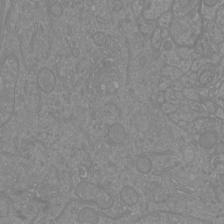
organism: Mouse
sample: Cortical neurons